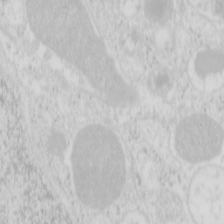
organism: Mouse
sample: Pancreas